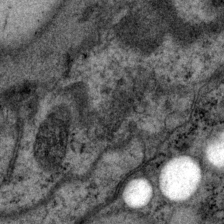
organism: P. pacificus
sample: Pharynx